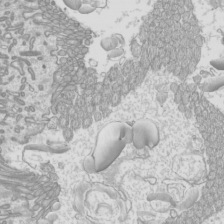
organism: Mouse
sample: Cilia; mouse epididymis